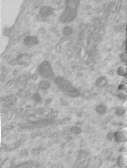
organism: Human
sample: Centriole in RPE cells